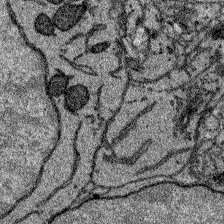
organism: Zebrafish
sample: Larval olfactory bulb